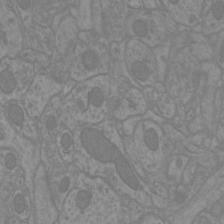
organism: Mouse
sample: Cortical neurons